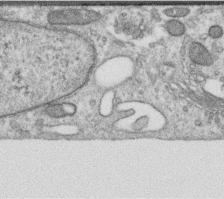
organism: Human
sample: Centriole in RPE cells